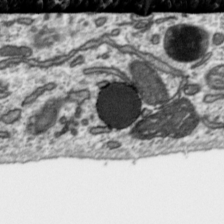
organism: Toxoplasma gondii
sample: Parasites in a vacuole inside a host cell